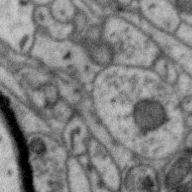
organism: Zebra finch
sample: Brain